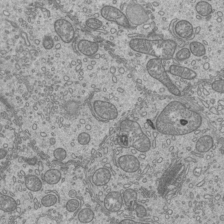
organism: Mouse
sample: Cilia; mouse epididymis